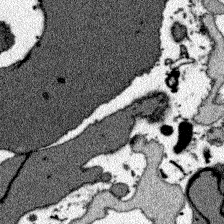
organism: Zebrafish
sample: Larval olfactory bulb